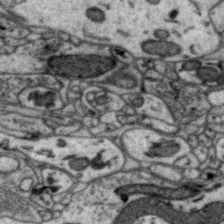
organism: Zebra finch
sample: Brain